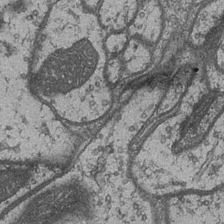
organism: Drosophila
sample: Optic medulla